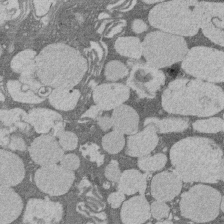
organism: Rat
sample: Salivary granule